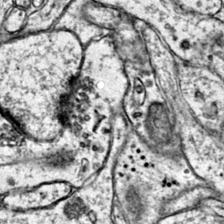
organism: Mouse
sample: Primary visual cortex